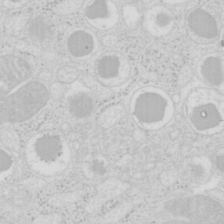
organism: Mouse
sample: Pancreas